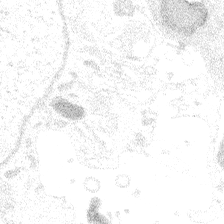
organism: Spongilla lacustris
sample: Multiple